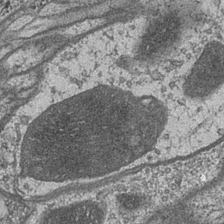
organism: Drosophila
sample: Optic medulla